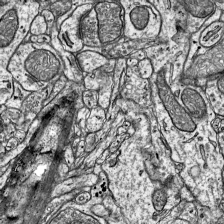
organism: Mouse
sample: Visual Cortex